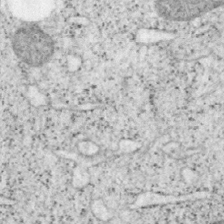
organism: Mouse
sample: OT-I killer T cells with ID8 ovarian cancer cells